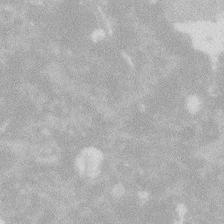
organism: Zebrafish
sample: Macrophage